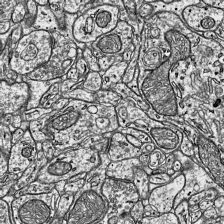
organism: Mouse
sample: Visual Cortex